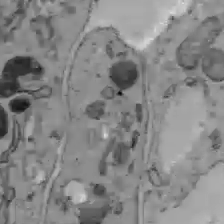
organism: C57BL Mouse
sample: Liver